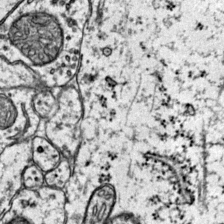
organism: Mouse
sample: Primary visual cortex